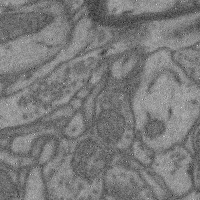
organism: Mouse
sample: Cerebral cortex